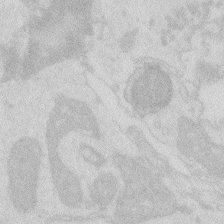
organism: Zebrafish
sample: Macrophage